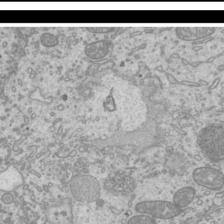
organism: Mouse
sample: Cilia; mouse epididymis